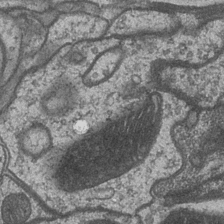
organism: Drosophila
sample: Optic medulla